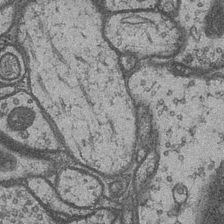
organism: Drosophila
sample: Optic medulla